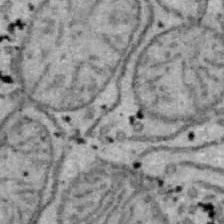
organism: Mouse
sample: Liver from an obese (ob/ob) mouse